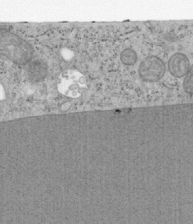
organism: Human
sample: HeLa cells